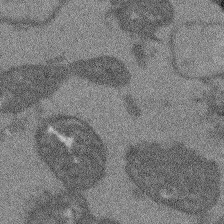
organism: Arabidopsis thaliana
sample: Root tip